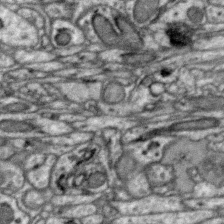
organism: Zebra finch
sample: Brain